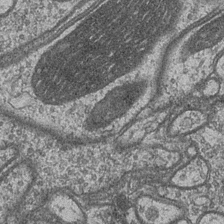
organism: Drosophila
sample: Optic medulla